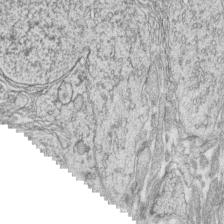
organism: Zebrafish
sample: synaptic ribbons in rod cells and cone cells